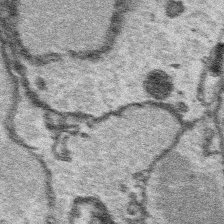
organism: Platynereis dumerilii